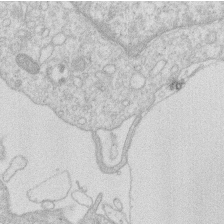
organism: Human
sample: Macrophage cells